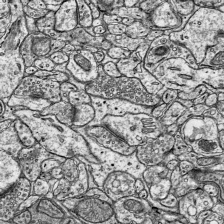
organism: Mouse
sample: Visual Cortex